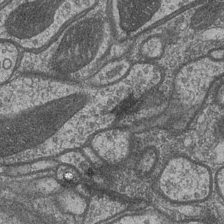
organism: Drosophila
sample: Optic medulla